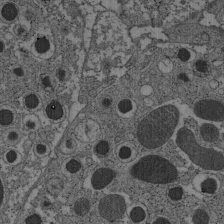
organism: C57BL Mouse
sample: Pancreatic islet